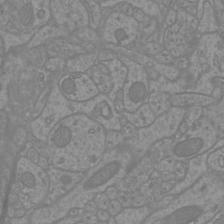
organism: Mouse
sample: Cortical neurons